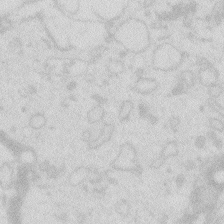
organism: Zebrafish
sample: Macrophage